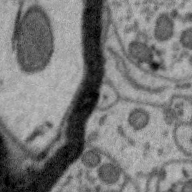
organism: Zebra finch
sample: Brain